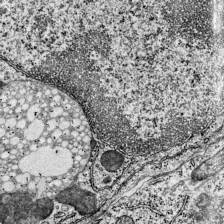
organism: Mouse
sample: Visual Cortex